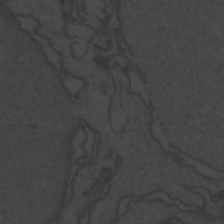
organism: Zebrafish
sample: Macrophage infected with Toxoplasma gondii